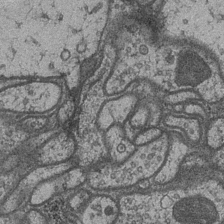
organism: Drosophila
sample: Optic medulla